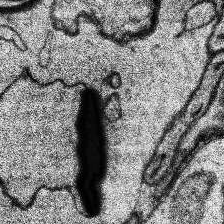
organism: Human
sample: Temporal Lobe